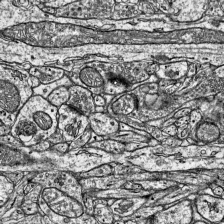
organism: Mouse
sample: Visual Cortex